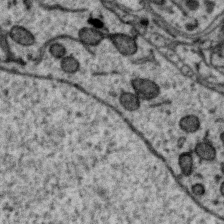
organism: Zebra finch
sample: Brain